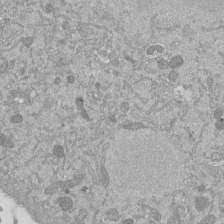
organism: Mouse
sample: ED-1 cell nuclei; centrioles